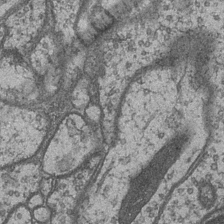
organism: Drosophila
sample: Optic medulla